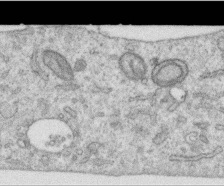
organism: Human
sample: Centriole in RPE cells